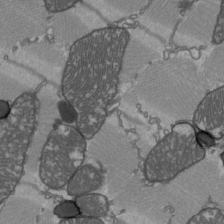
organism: C57BL Mouse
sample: Heart